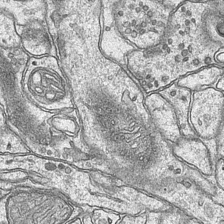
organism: Mouse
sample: CA1 Hippocampus